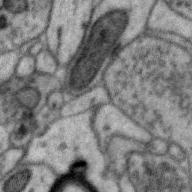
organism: Zebra finch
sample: Brain